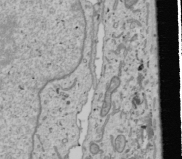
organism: Human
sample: Mitochondria in U2OS cells